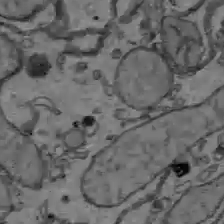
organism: C57BL Mouse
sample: Liver